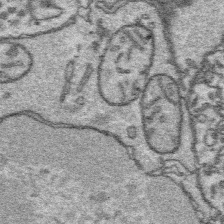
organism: Platynereis dumerilii